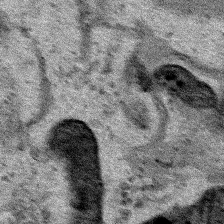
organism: Human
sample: Mitochondria in HCT116 cells